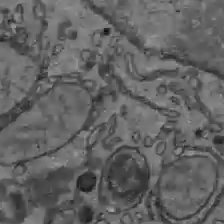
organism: C57BL Mouse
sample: Liver